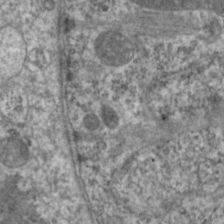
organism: C. elegans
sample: Pharynx